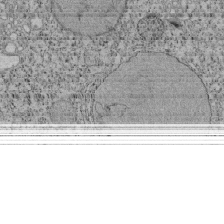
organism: Tetrahymena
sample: Cilia in tetrahymena